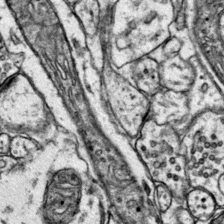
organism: Mouse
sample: Primary visual cortex